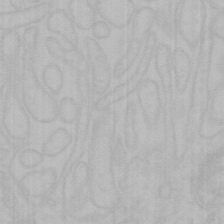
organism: Mouse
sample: Choroid plexus